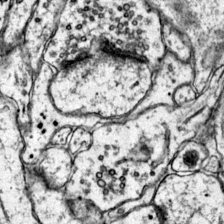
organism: Mouse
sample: Primary visual cortex